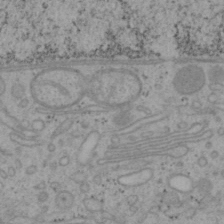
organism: Human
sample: HeLa cells